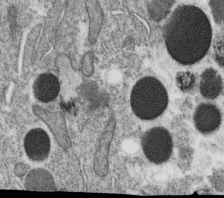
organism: C. elegans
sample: C. elegans oocyte; sperm cells